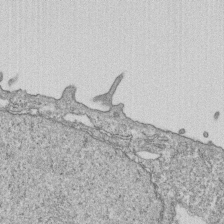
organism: Human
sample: HeLa cell HIV synapse